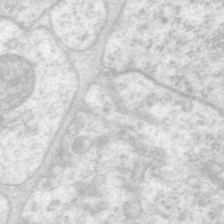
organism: P. pacificus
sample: Pharynx